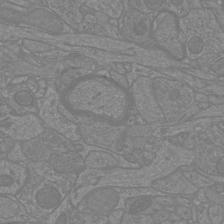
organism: Mouse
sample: Cortical neurons